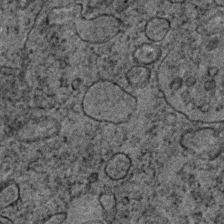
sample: Trachea